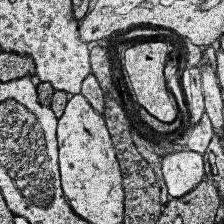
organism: Human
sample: Temporal Lobe